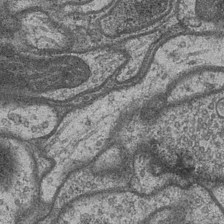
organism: Drosophila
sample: Optic medulla